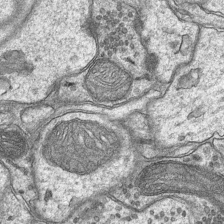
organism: Mouse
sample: CA1 Hippocampus